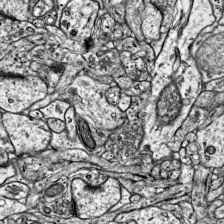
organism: Mouse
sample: Visual Cortex